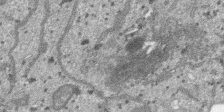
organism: Human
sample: Lung epithelial cells infected with SARS-CoV-2